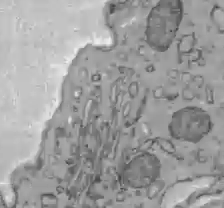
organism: C57BL Mouse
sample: Liver